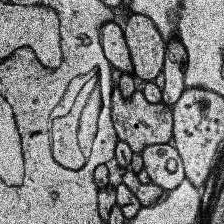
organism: Human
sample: Temporal Lobe